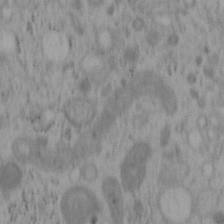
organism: Mouse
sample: OT-I killer T cells with ID8 ovarian cancer cells